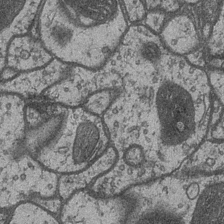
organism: Drosophila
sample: Optic medulla